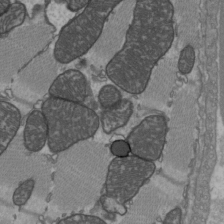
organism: C57BL Mouse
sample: Heart